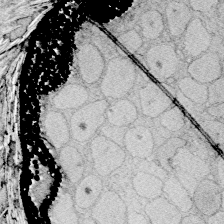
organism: Zebrafish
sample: Whole-Brain